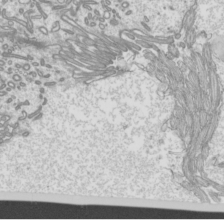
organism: Mouse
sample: Cilia; mouse epididymis